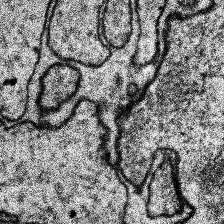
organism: Human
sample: Temporal Lobe